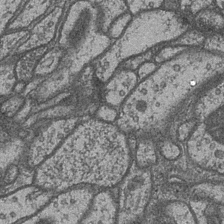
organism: Drosophila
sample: Optic medulla